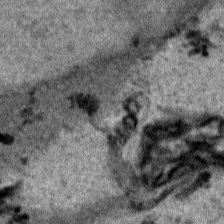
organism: Human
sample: Mitochondria in HCT116 cells